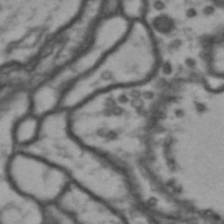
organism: Drosophila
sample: Brain